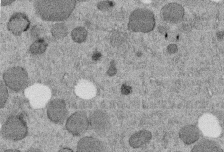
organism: C. elegans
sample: C. elegans embryo early stage